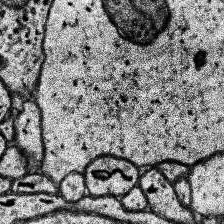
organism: Human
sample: Temporal Lobe